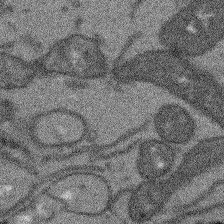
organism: Arabidopsis thaliana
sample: Root tip